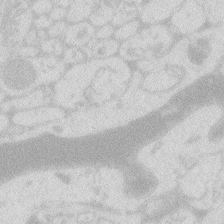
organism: Zebrafish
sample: Macrophage